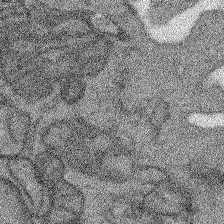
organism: Human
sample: HeLa cells